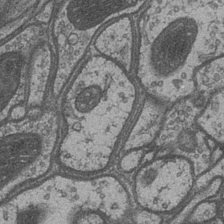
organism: Drosophila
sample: Optic medulla